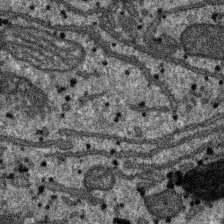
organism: Human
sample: Lung epithelial cells infected with SARS-CoV-2